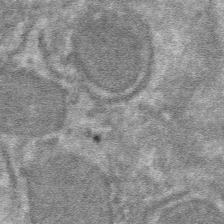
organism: Mouse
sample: Mouse hepatocytes